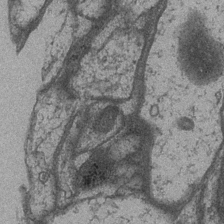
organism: Drosophila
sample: Optic medulla